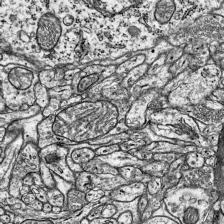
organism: Mouse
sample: Visual Cortex